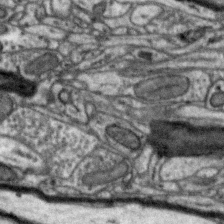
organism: Zebra finch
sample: Brain